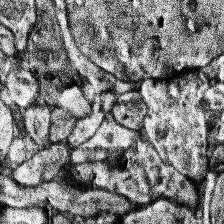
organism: Human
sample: Temporal Lobe